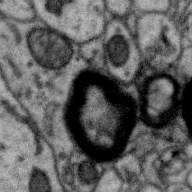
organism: Zebra finch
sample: Brain